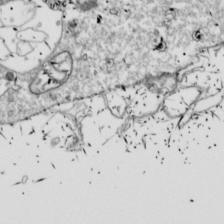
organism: Drosophila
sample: Cell division; meiosis; drosophila spermatocytes